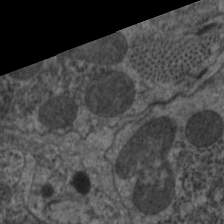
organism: C. elegans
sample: Pharynx